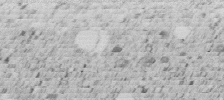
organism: C. elegans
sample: C. elegans embryo early stage